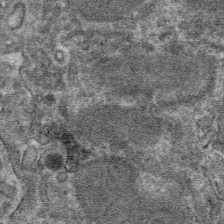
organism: Mouse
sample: Mouse hepatocytes